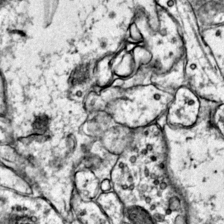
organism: Mouse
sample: Primary visual cortex